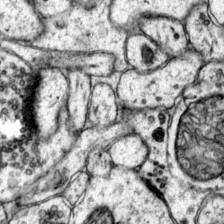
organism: Mouse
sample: Primary visual cortex